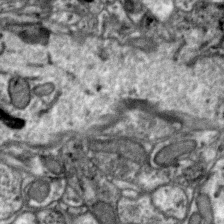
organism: Zebra finch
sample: Brain